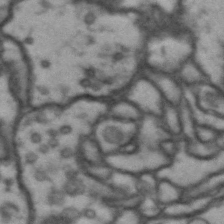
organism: Drosophila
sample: Brain